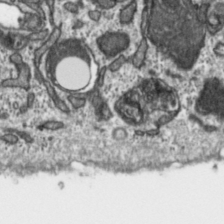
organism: Toxoplasma gondii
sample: Parasites in a vacuole inside a host cell